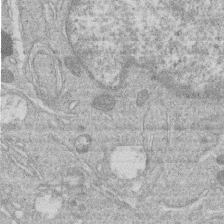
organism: Human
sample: Macrophage cells